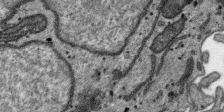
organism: Human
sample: Lung epithelial cells, uninfected (mock) control